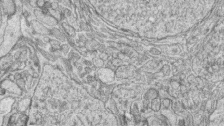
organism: Zebrafish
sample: synaptic ribbons in rod cells and cone cells